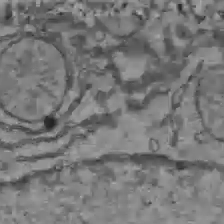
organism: C57BL Mouse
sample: Liver